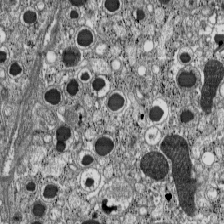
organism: C57BL Mouse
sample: Pancreatic islet